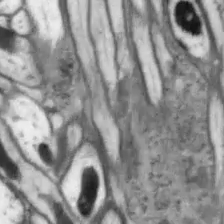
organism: Drosophila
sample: Optic lobe